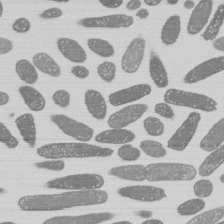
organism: E. coli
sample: Bacterial nucleoid